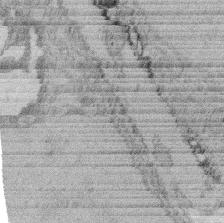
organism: Rat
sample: Salivary granule